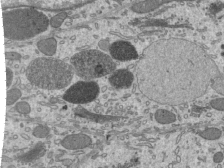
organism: Mouse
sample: Mouse epididymis efferent ductule cilia